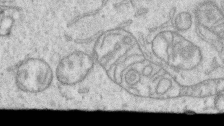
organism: Human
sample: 1205lu cells